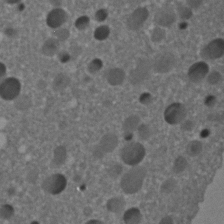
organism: C. elegans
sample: C. elegans embryo